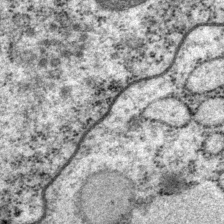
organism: P. pacificus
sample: Pharynx